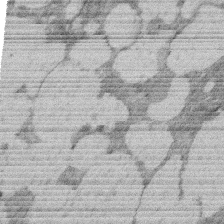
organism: Rat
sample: Salivary granule